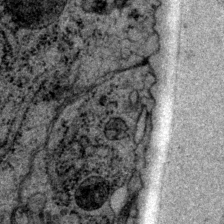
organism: P. pacificus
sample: Pharynx